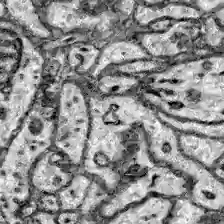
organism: Zebrafish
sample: Brain